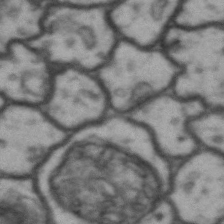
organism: Drosophila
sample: Brain